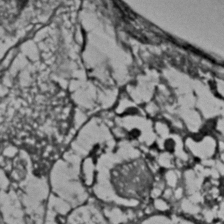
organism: C. elegans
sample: C. elegans embryo